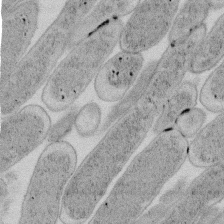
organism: E. coli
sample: Bacterial nucleoid